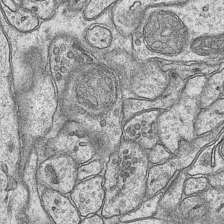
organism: Mouse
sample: CA1 Hippocampus